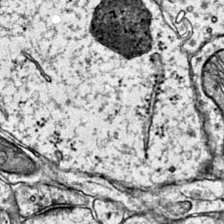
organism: Mouse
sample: Primary visual cortex